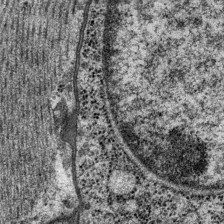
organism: P. pacificus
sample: Pharynx